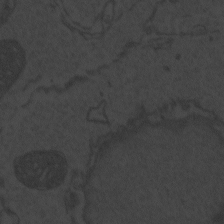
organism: Zebrafish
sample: Macrophage infected with Toxoplasma gondii